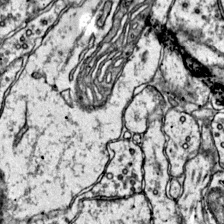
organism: Mouse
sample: Primary visual cortex